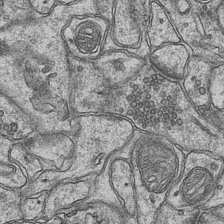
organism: Mouse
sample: CA1 Hippocampus